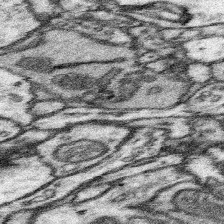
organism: Mouse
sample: Somatosensory cortex neuropil